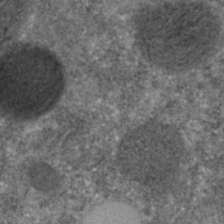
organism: C. elegans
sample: C. elegans embryo